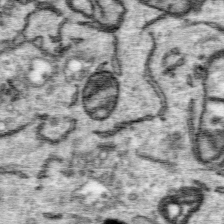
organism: Human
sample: HeLa cells